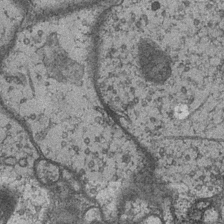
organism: Drosophila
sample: Optic medulla